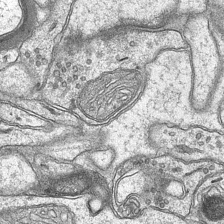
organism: Mouse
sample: CA1 Hippocampus